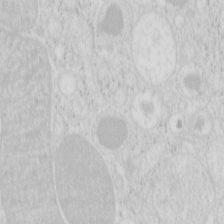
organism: Mouse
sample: Pancreas